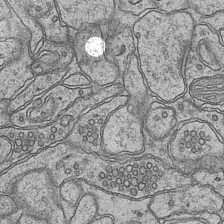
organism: Mouse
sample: CA1 Hippocampus